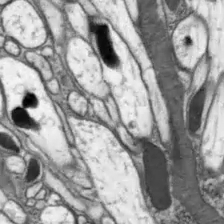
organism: Drosophila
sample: Optic lobe